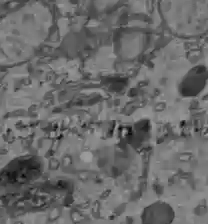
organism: C57BL Mouse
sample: Liver